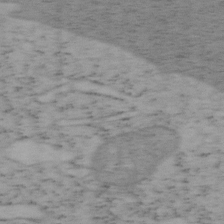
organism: Mouse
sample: OT-I killer T cells with ID8 ovarian cancer cells